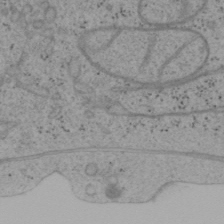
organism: Human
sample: HeLa cells